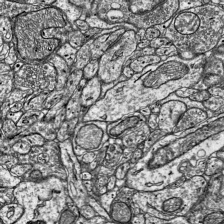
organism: Mouse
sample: Visual Cortex